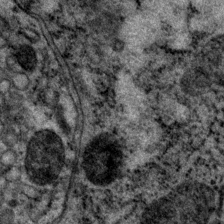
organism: P. pacificus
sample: Pharynx